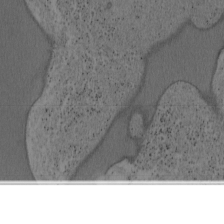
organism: Mouse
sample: OT-I killer T cells with ID8 ovarian cancer cells